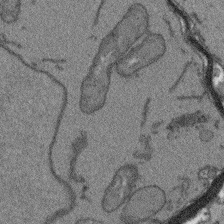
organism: Arabidopsis thaliana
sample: Root tip